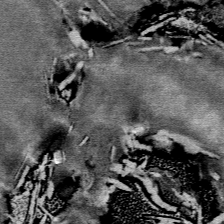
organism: Mouse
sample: Mouse Salivary gland